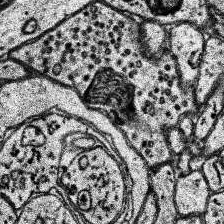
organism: Human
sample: Temporal Lobe